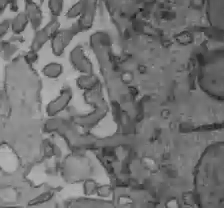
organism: C57BL Mouse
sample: Liver